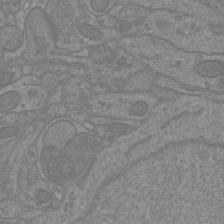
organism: Mouse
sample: Cortical neurons